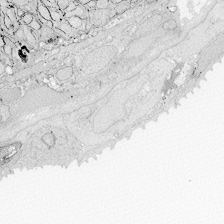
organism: Zebrafish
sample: Whole-Brain